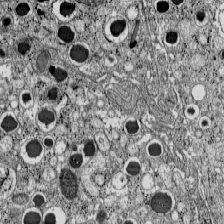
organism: C57BL Mouse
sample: Pancreatic islet